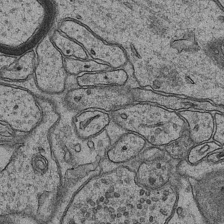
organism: Mouse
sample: CA1 Hippocampus